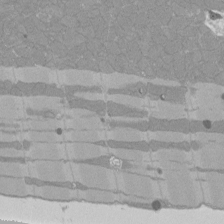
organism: Rat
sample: Left ventricle